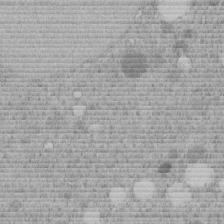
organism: C. elegans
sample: C. elegans embryo early stage